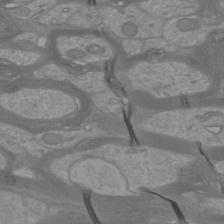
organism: Mouse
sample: Cortical neurons